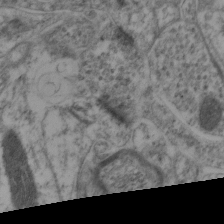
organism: Mouse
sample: Neocortex